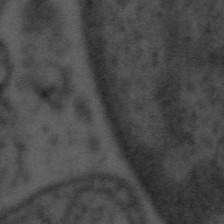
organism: Tuwongella immobilis